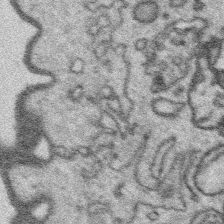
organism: Platynereis dumerilii